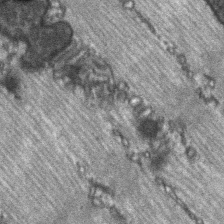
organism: C57BL Mouse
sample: Soleus